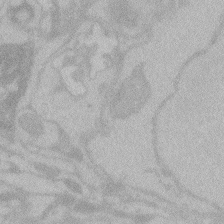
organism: Zebrafish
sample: Macrophage infected with Toxoplasma gondii